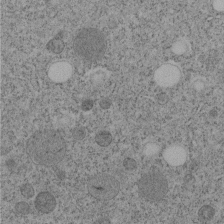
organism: C. elegans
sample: C. elegans embryo early stage